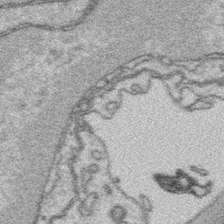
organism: Platynereis dumerilii